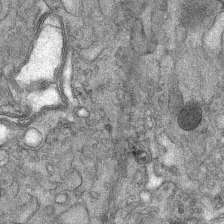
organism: Mouse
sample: Mouse Salivary gland